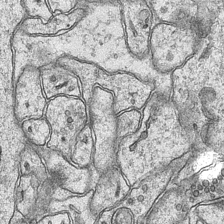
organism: Mouse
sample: CA1 Hippocampus